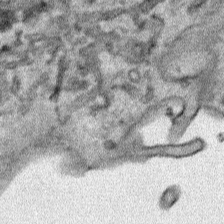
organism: Human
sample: Mitochondria in HCT116 cells